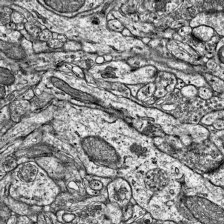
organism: Mouse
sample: Visual Cortex